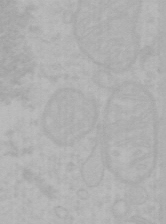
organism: Mouse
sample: Choroid plexus